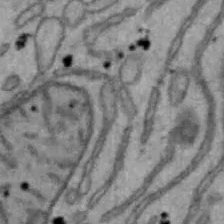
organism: Mouse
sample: Liver